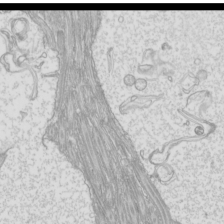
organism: Mouse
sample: Cilia; mouse epididymis